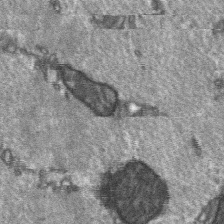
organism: C57BL Mouse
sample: Soleus